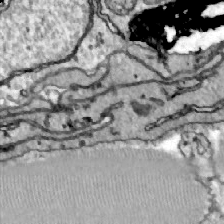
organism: Zebrafish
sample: Actinotrichia fibers